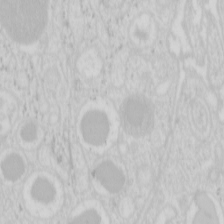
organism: Mouse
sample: Pancreas